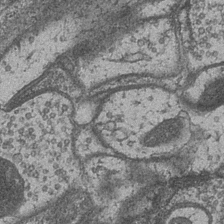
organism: Drosophila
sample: Optic medulla